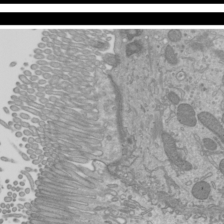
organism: Mouse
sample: Cilia; mouse epididymis